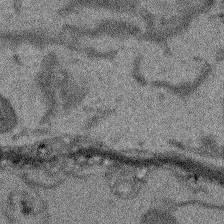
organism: Arabidopsis thaliana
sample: Root tip